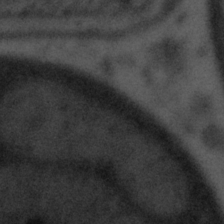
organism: Tuwongella immobilis